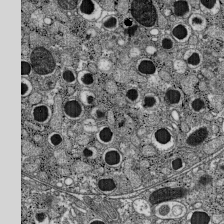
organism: C57BL Mouse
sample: Pancreatic islet